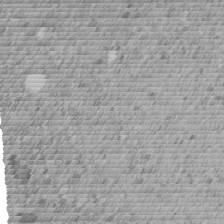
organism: C. elegans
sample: C. elegans embryo early stage